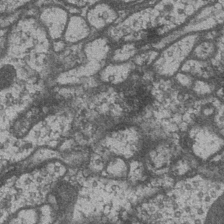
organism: Drosophila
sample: Optic medulla